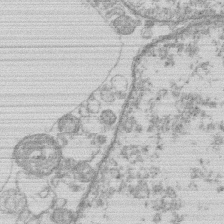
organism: Human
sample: Macrophage cells